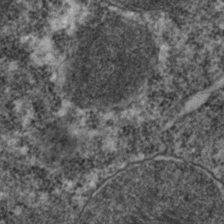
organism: C. elegans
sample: C. elegans embryo